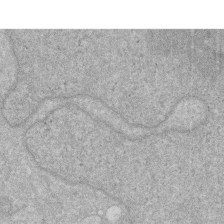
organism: Human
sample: HIV infected U937 cells